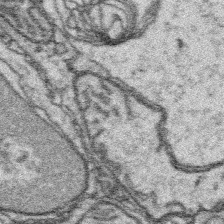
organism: Platynereis dumerilii